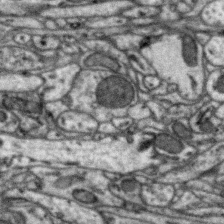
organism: Zebra finch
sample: Brain